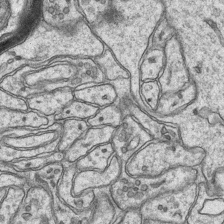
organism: Mouse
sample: CA1 Hippocampus